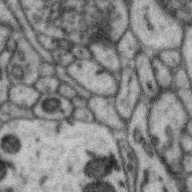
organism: Zebra finch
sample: Brain